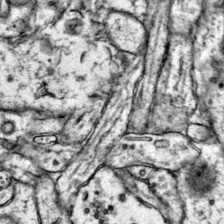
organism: Mouse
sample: Primary visual cortex